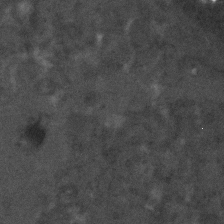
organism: C. elegans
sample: C. elegans embryo